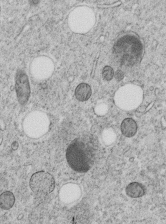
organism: C. elegans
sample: C. elegans embryo early stage